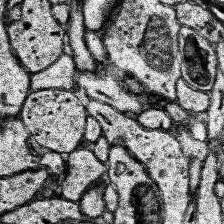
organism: Human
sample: Temporal Lobe